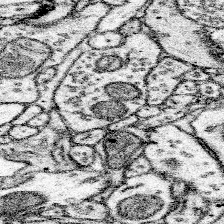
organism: Mouse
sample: Somatosensory cortex neuropil